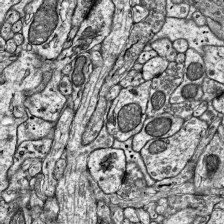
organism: Mouse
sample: Visual Cortex